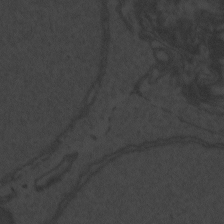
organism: Zebrafish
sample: Macrophage infected with Toxoplasma gondii